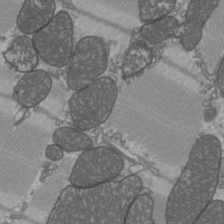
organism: C57BL Mouse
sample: Heart